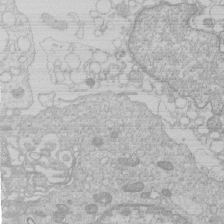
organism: Human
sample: Macrophage cells